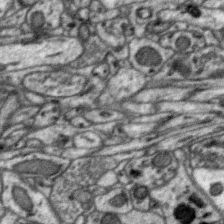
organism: Zebra finch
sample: Brain